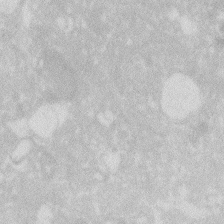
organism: Zebrafish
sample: Macrophage